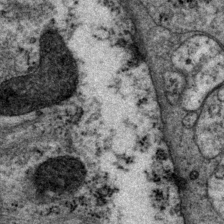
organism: P. pacificus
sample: Pharynx